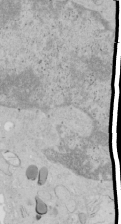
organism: Human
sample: Mitochondria in HCT116 cells